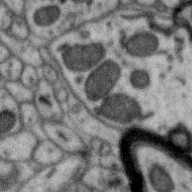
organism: Zebra finch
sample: Brain